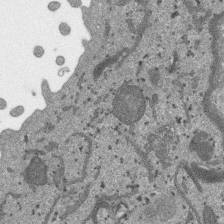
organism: Human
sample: Lung epithelial cells infected with SARS-CoV-2